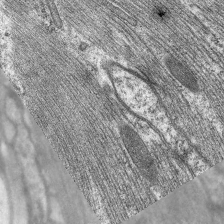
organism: C. elegans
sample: Pharynx